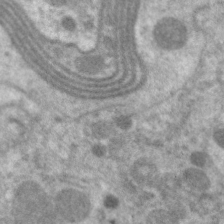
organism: C. elegans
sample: Pharynx